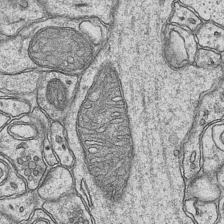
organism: Mouse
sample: CA1 Hippocampus